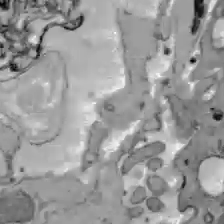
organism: C57BL Mouse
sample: Liver